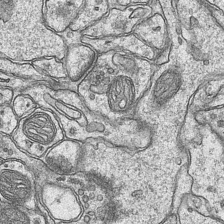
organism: Mouse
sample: CA1 Hippocampus